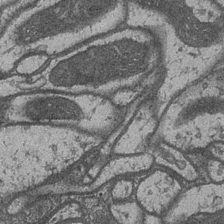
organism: Drosophila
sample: Optic medulla